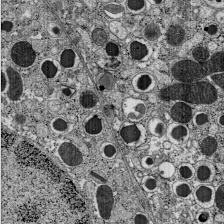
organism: C57BL Mouse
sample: Pancreatic islet